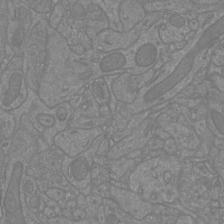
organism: Mouse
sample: Cortical neurons